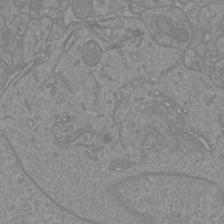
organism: Mouse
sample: Cortical neurons